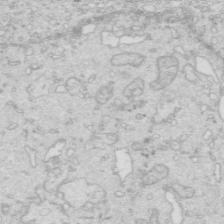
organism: Mouse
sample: Multiciliated cells